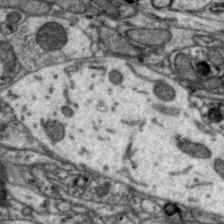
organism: Zebra finch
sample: Brain